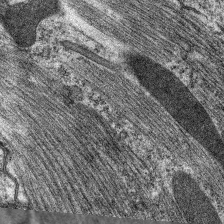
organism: C. elegans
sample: Pharynx